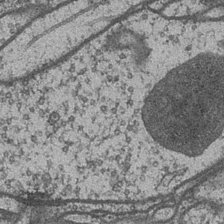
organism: Drosophila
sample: Optic medulla